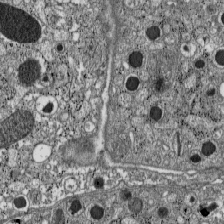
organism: C57BL Mouse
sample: Pancreatic islet